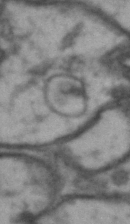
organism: Drosophila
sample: Brain